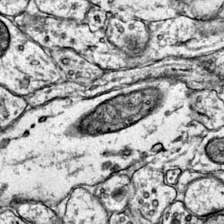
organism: Mouse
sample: Primary visual cortex